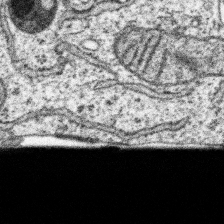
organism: Human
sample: HeLa cells